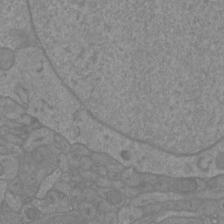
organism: Mouse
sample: Cortical neurons